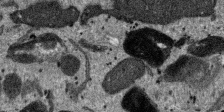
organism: Human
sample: Lung epithelial cells, uninfected (mock) control